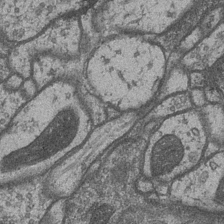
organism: Drosophila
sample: Optic medulla